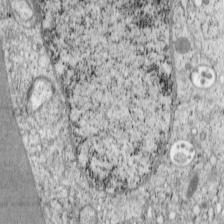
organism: African green monkey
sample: COS-7 cells